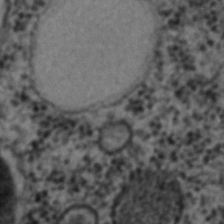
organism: C. elegans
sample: C. elegans embryo